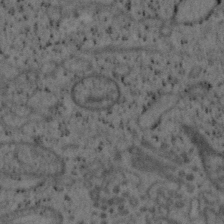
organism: Human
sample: HeLa cells